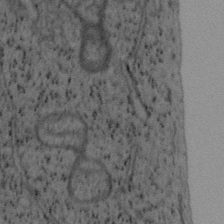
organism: Human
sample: HeLa cells